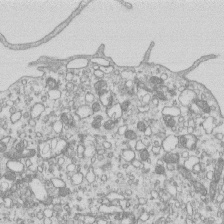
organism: Mouse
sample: Macrophages